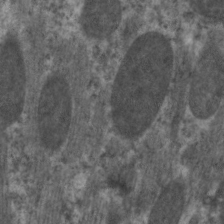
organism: C. elegans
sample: Pharynx